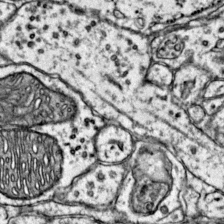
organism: Mouse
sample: Primary visual cortex